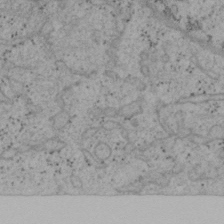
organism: Human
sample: HeLa cells